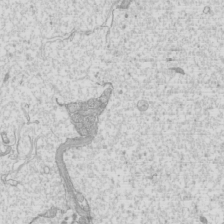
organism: Mouse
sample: Cilia; mouse epididymis